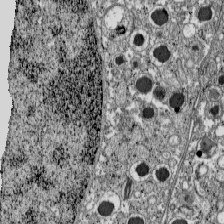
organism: C57BL Mouse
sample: Pancreatic islet